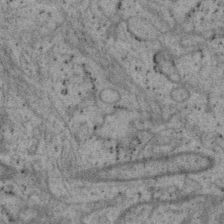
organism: Human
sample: HeLa cells